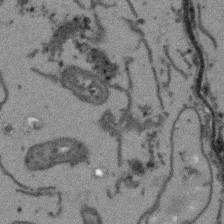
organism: Arabidopsis thaliana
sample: Root tip